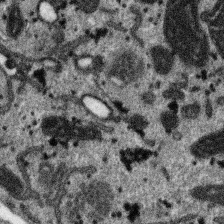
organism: Human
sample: Lung epithelial cells infected with SARS-CoV-2